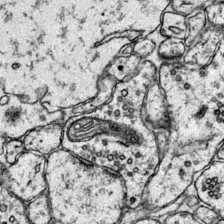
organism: Mouse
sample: Primary visual cortex